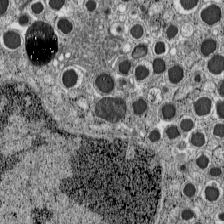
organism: C57BL Mouse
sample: Pancreatic islet